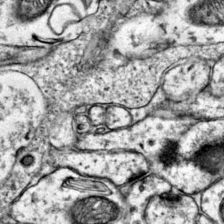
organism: Mouse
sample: Primary visual cortex